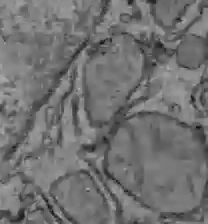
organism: C57BL Mouse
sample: Liver